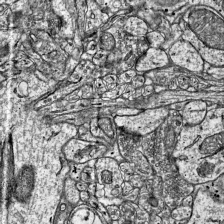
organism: Mouse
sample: Visual Cortex